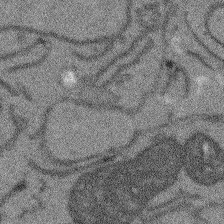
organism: Arabidopsis thaliana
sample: Root tip